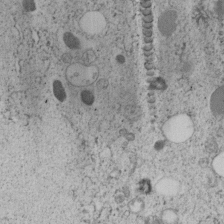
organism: C. elegans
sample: C. elegans embryo early stage